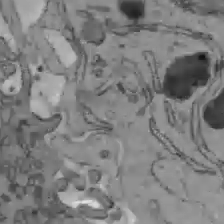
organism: C57BL Mouse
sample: Liver